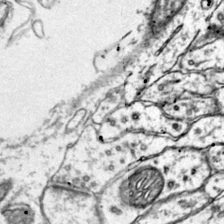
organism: Mouse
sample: Primary visual cortex